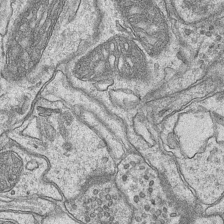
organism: Mouse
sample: CA1 Hippocampus